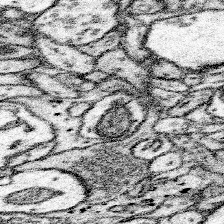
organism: Mouse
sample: Somatosensory cortex neuropil